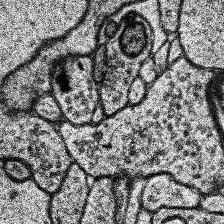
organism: Human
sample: Temporal Lobe